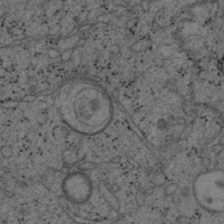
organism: Human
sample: HeLa cells